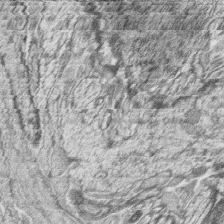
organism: Zebrafish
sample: synaptic ribbons in rod cells and cone cells